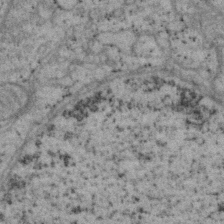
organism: Human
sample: HeLa cells